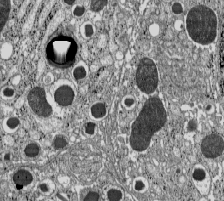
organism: C57BL Mouse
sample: Pancreatic islet